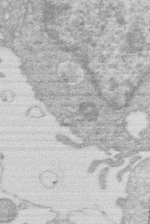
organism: Human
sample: Macrophage cells